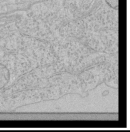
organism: Human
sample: Mitochondria in HCT116 cells